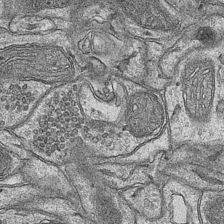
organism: Mouse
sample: CA1 Hippocampus